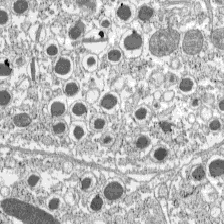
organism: C57BL Mouse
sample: Pancreatic islet